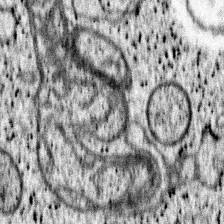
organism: Human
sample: HeLa cells